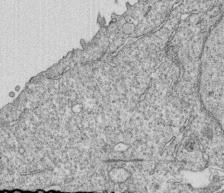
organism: Human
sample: HeLa cell HIV synapse